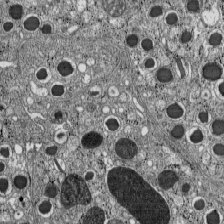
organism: C57BL Mouse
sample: Pancreatic islet